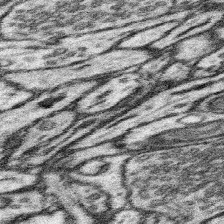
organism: Mouse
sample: Somatosensory cortex neuropil